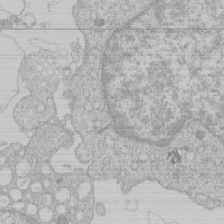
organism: Human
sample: Macrophage cells